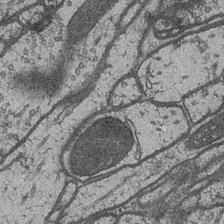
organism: Drosophila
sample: Optic medulla